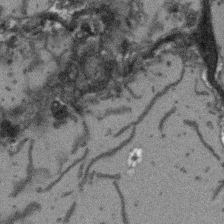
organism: Arabidopsis thaliana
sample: Root tip